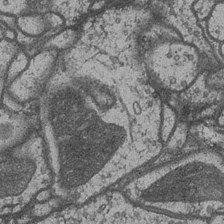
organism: Drosophila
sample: Optic medulla